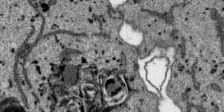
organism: Human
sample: Lung epithelial cells, uninfected (mock) control